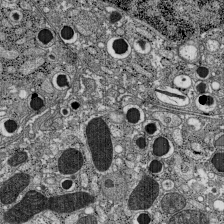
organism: C57BL Mouse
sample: Pancreatic islet